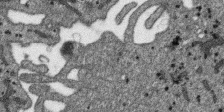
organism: Human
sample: Lung epithelial cells infected with SARS-CoV-2